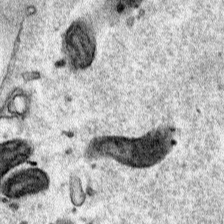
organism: Human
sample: Mitochondria in HCT116 cells